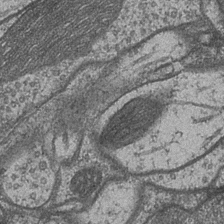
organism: Drosophila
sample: Optic medulla